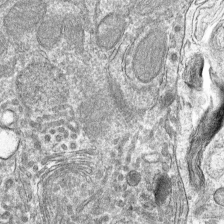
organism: Mouse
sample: Mouse hepatocytes